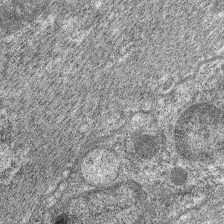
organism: C. elegans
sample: Pharynx